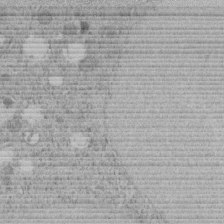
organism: C. elegans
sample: C. elegans embryo early stage